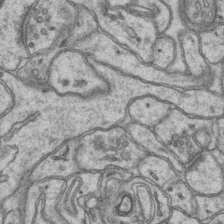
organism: Mouse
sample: CA1 Hippocampus